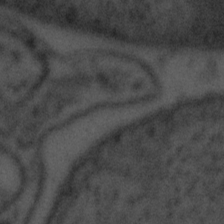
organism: Tuwongella immobilis